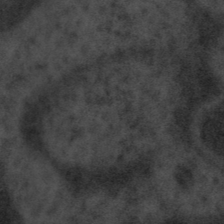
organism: Tuwongella immobilis